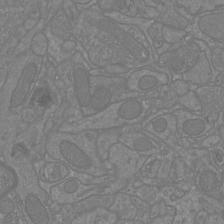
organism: Mouse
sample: Cortical neurons